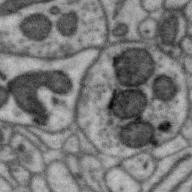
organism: Zebra finch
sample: Brain